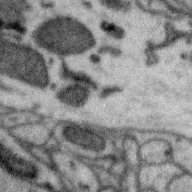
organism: Zebra finch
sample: Brain